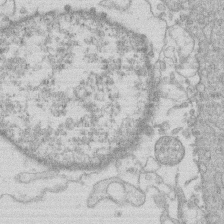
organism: Human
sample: Macrophage cells